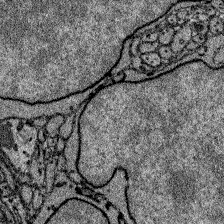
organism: Zebrafish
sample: Larval olfactory bulb